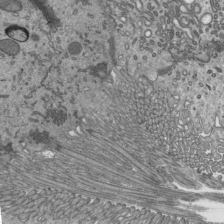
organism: Mouse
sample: Mouse epididymis efferent ductule cilia